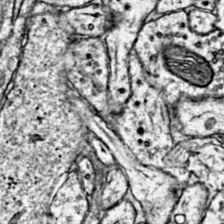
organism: Mouse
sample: Primary visual cortex